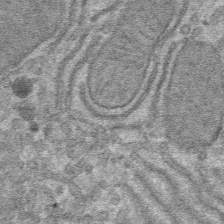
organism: Mouse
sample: Mouse hepatocytes